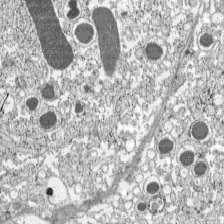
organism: C57BL Mouse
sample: Pancreatic islet